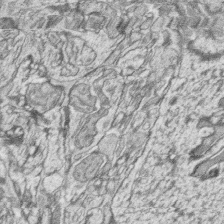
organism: Zebrafish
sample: synaptic ribbons in rod cells and cone cells